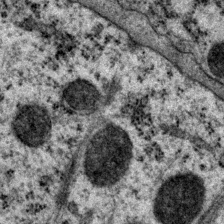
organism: P. pacificus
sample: Pharynx